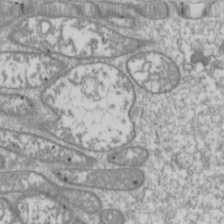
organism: Drosophila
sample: Cell division; meiosis; drosophila spermatocytes